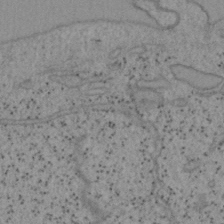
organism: Human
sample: HeLa cells